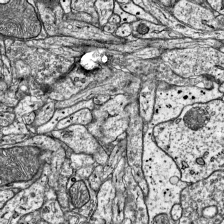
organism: Mouse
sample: Visual Cortex